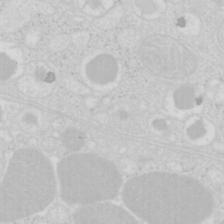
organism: Mouse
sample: Pancreas